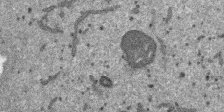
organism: Human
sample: Lung epithelial cells infected with SARS-CoV-2